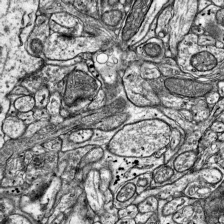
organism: Mouse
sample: Visual Cortex